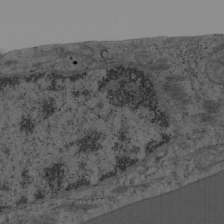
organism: Human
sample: HeLa cells